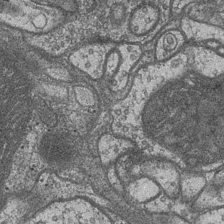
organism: Drosophila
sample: Optic medulla